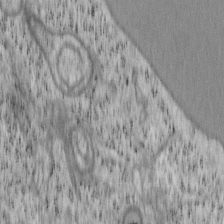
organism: Human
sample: HeLa cells